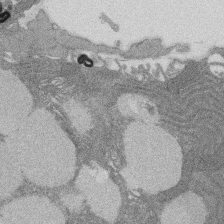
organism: Rat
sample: Salivary granule